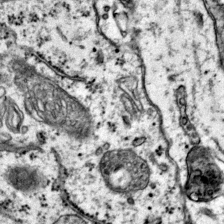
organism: Mouse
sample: Primary visual cortex